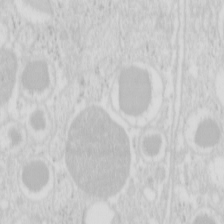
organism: Mouse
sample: Pancreas